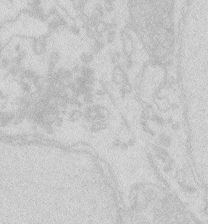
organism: Zebrafish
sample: Macrophage